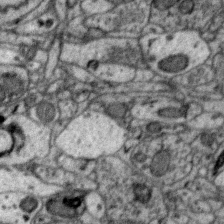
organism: Zebra finch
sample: Brain